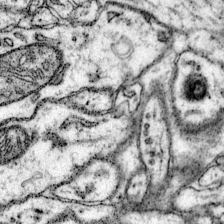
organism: Mouse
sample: Primary visual cortex